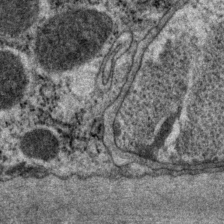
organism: P. pacificus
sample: Pharynx